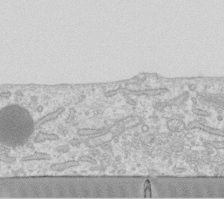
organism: Human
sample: Fibroblast cells